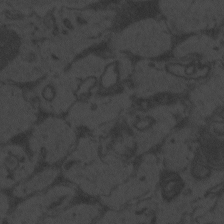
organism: Zebrafish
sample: Macrophage infected with Toxoplasma gondii